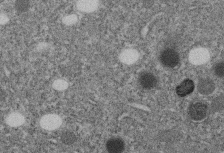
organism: C. elegans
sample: C. elegans embryo early stage